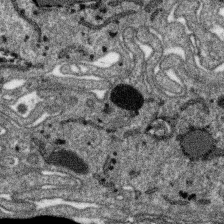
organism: Human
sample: Lung epithelial cells infected with SARS-CoV-2